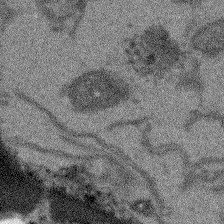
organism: Arabidopsis thaliana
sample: Root tip